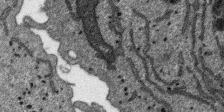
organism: Human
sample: Lung epithelial cells infected with SARS-CoV-2